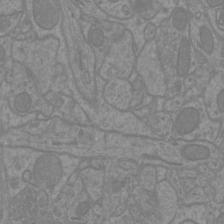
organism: Mouse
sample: Cortical neurons